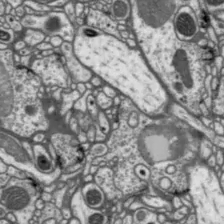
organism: Drosophila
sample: Protocerebral bridge